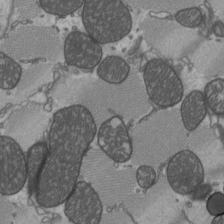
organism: C57BL Mouse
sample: Heart